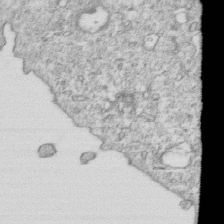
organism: Mouse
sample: Activated OT-1 CD8+ T cells